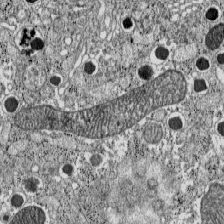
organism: C57BL Mouse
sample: Pancreatic islet